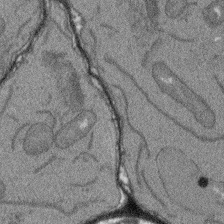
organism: Arabidopsis thaliana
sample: Root tip